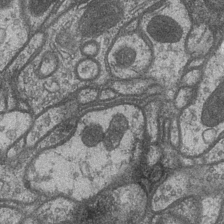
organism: Drosophila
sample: Optic medulla